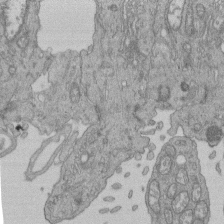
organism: Human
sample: Retinal organoid Rod and Cone cells